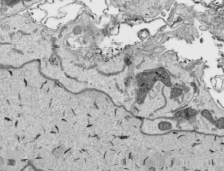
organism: Human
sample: Mitochondria in HCT116 cells